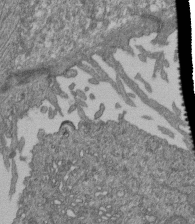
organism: Human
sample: Retinal organoid Rod and Cone cells